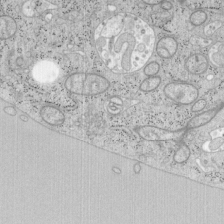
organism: Mouse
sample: OT-I killer T cells with ID8 ovarian cancer cells